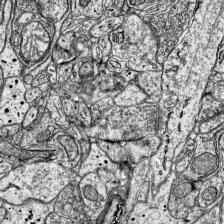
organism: Mouse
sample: Visual Cortex